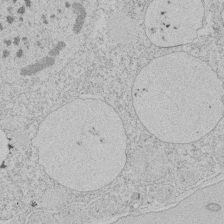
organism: Tetrahymena